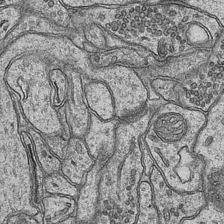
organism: Mouse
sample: CA1 Hippocampus